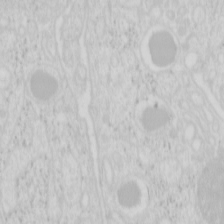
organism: Mouse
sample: Pancreas